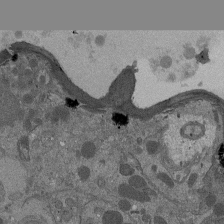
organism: Drosophila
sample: Antenna